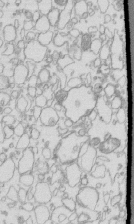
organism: Mouse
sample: Macrophages